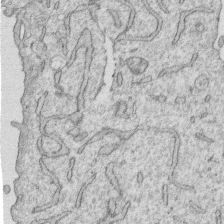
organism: Human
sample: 1205lu cells